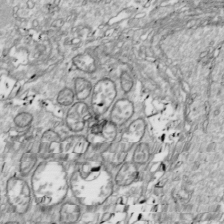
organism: Drosophila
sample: Cell division; meiosis; drosophila spermatocytes